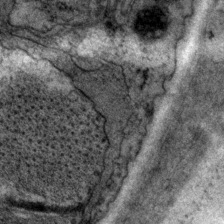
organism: P. pacificus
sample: Pharynx